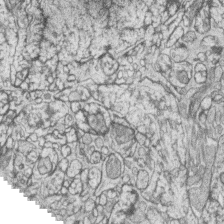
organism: Zebrafish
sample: synaptic ribbons in rod cells and cone cells